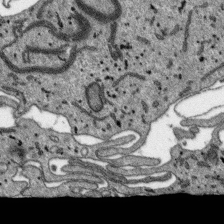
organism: Human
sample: Lung epithelial cells, uninfected (mock) control